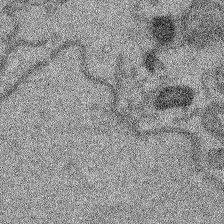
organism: Human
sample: HeLa cells